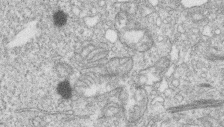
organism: Human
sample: HeLa cell HIV synapse